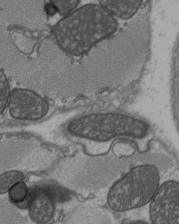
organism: C57BL Mouse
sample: Heart